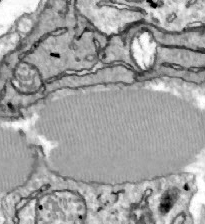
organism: Zebrafish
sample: Actinotrichia fibers